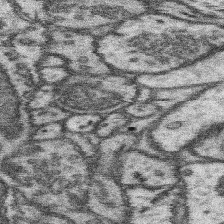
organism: Mouse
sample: Somatosensory cortex neuropil